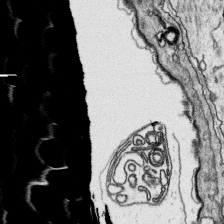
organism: Platynereis dumerilii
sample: Parapodia